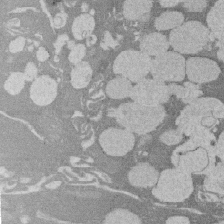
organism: Rat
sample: Salivary granule